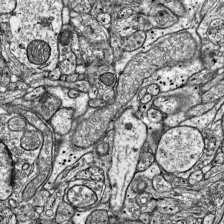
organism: Mouse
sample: Visual Cortex